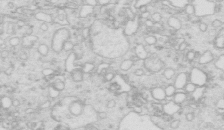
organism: Mouse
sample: Multiciliated cells